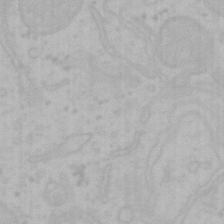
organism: Mouse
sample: Choroid plexus